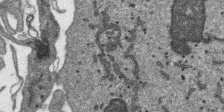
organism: Human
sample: Lung epithelial cells infected with SARS-CoV-2